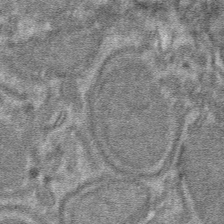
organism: Mouse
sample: Mouse hepatocytes